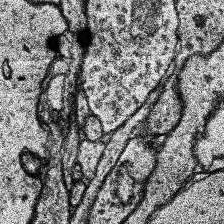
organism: Human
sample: Temporal Lobe